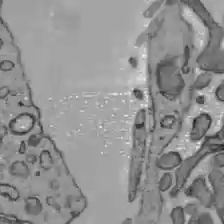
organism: C57BL Mouse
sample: Liver